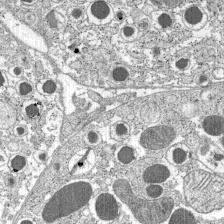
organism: C57BL Mouse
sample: Pancreatic islet